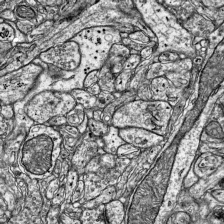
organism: Mouse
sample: Visual Cortex